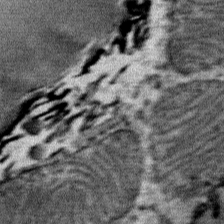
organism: Mouse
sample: Mouse Salivary gland